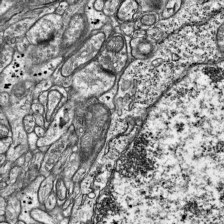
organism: Mouse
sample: Visual Cortex